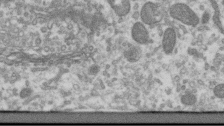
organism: Human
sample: Centriole in RPE cells